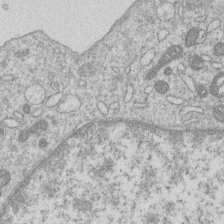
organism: Human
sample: Macrophage cells